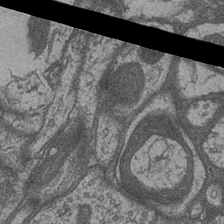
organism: Drosophila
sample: Optic medulla